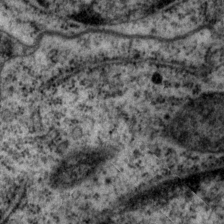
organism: P. pacificus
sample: Pharynx